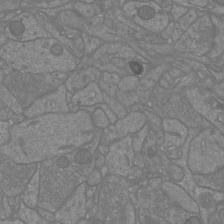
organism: Mouse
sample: Cortical neurons